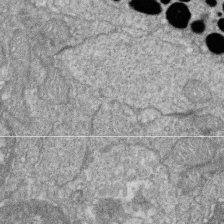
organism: Zebrafish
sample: Cilia; retinal pigment epithelium